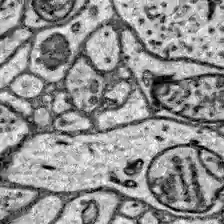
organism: Zebrafish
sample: Brain